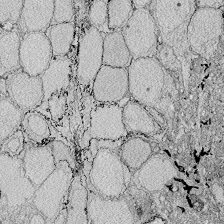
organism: Zebrafish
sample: Whole-Brain